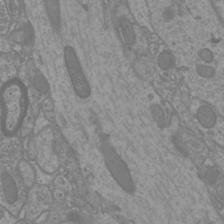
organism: Mouse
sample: Cortical neurons